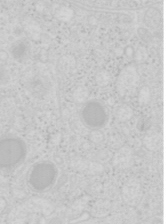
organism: Mouse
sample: Pancreas